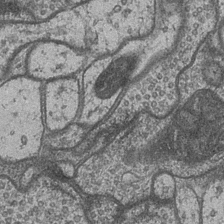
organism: Drosophila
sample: Optic medulla